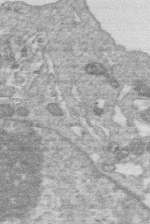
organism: Human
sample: Macrophage cells